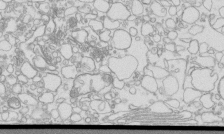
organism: Mouse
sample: Macrophages